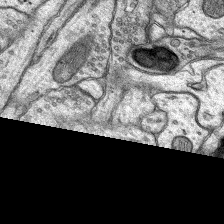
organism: Rat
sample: Hippocampus